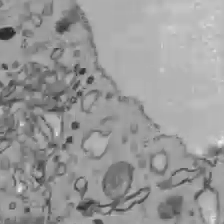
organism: C57BL Mouse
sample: Liver